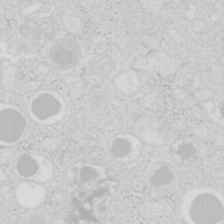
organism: Mouse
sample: Pancreas